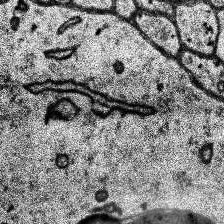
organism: Human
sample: Temporal Lobe